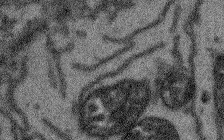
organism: Arabidopsis thaliana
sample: Root tip